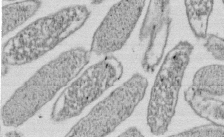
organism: E. coli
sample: Bacterial nucleoid